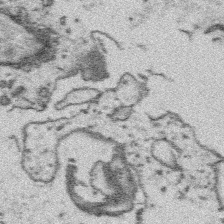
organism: Platynereis dumerilii